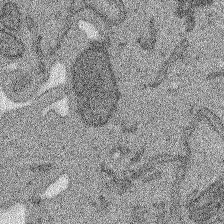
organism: Human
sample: HeLa cells